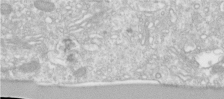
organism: Human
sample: Centriole in RPE cells